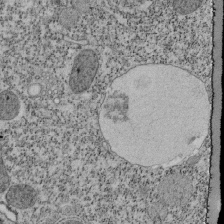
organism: Tetrahymena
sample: Cilia in tetrahymena